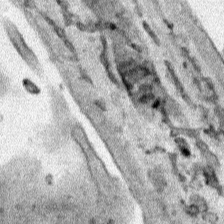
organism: Human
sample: Mitochondria in HCT116 cells